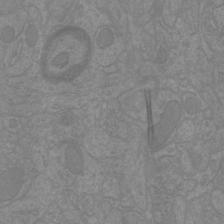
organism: Mouse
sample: Cortical neurons